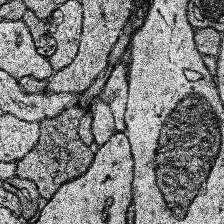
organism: Human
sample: Temporal Lobe